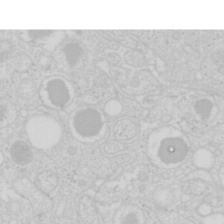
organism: Mouse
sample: Pancreas